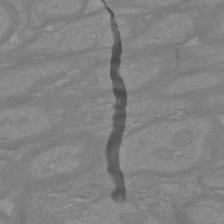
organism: Mouse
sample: Cortical neurons